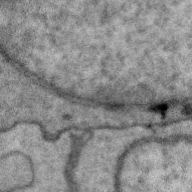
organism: Zebra finch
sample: Brain